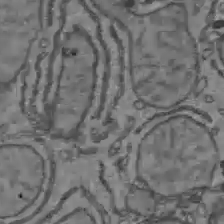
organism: C57BL Mouse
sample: Liver